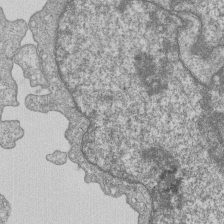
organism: Human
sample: MDA-MB-231 cells